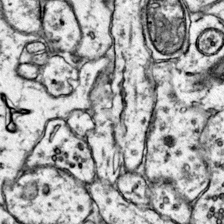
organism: Mouse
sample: Primary visual cortex